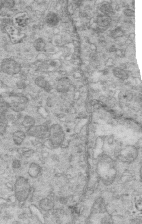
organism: Mouse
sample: Multiciliated cells